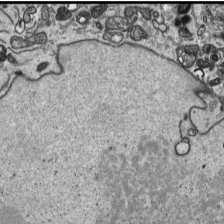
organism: Human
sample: Mitochondria in HCT116 cells